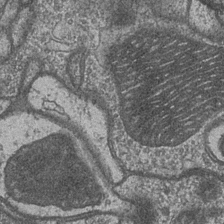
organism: Drosophila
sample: Optic medulla